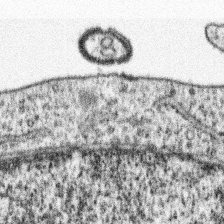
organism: Human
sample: HeLa cells